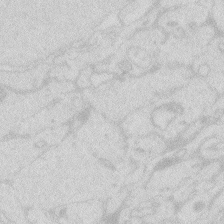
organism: Zebrafish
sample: Macrophage